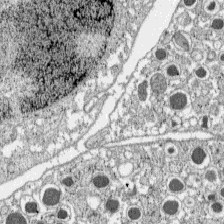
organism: C57BL Mouse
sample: Pancreatic islet